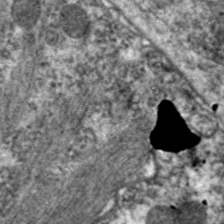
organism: C. elegans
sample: Pharynx